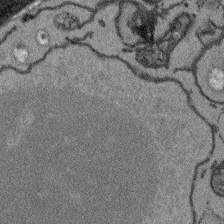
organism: Arabidopsis thaliana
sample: Root tip